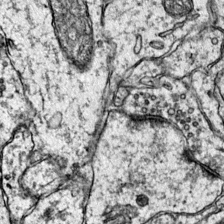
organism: Mouse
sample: Primary visual cortex